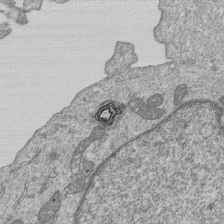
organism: Human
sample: MDA-MB-231 cells